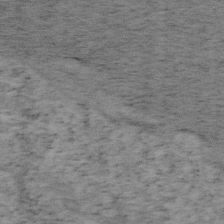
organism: Mouse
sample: OT-I killer T cells with ID8 ovarian cancer cells